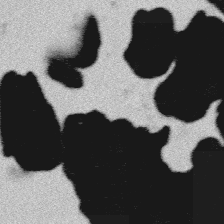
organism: Platynereis dumerilii